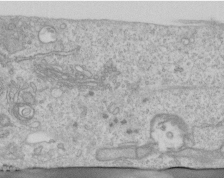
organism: Human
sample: Centriole in RPE cells